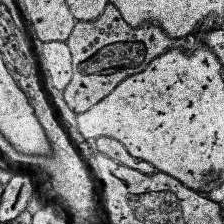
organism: Human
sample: Temporal Lobe